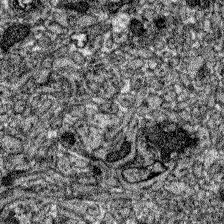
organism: Zebrafish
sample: Larval olfactory bulb